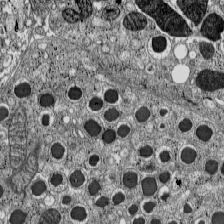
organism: C57BL Mouse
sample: Pancreatic islet